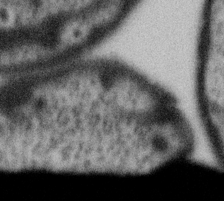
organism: Gemmata obscuriglobus